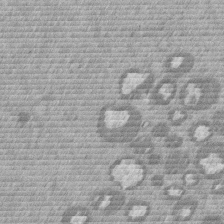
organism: Mouse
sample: Dividing mouse embryo 1 cell stage